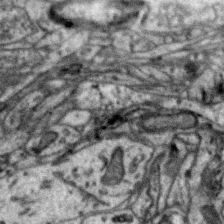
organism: Zebra finch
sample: Brain